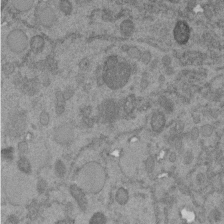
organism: C. elegans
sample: C. elegans embryo early stage